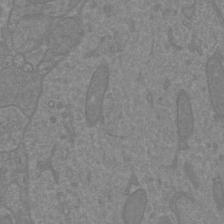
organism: Mouse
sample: Cortical neurons